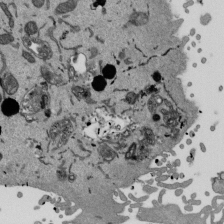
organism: Mouse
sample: ED-1 cell nuclei; centrioles